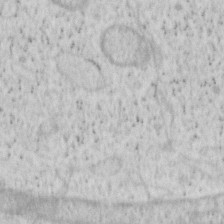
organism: Human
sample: HeLa cells